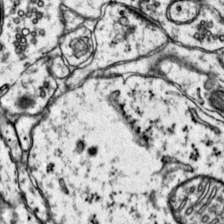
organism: Mouse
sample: Primary visual cortex